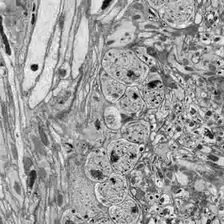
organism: Drosophila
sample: Optic lobe